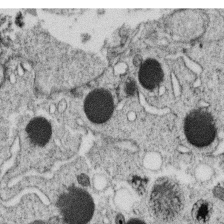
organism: C. elegans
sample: C. elegans oocyte; sperm cells